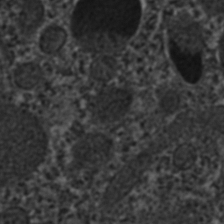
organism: C. elegans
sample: C. elegans embryo